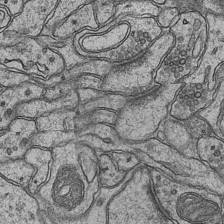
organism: Mouse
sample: CA1 Hippocampus